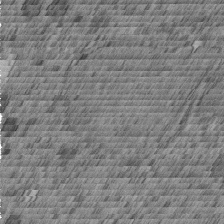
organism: C. elegans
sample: C. elegans embryo early stage